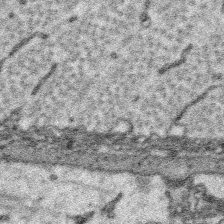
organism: Platynereis dumerilii